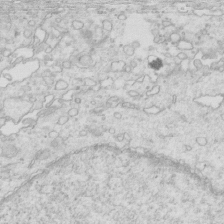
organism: Mouse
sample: Multiciliated cells